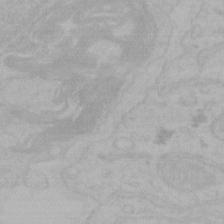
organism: Mouse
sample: Choroid plexus